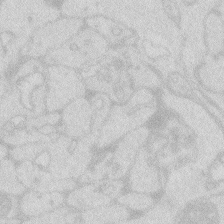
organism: Zebrafish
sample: Macrophage